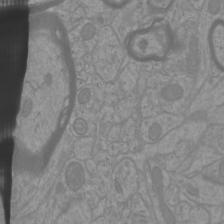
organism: Mouse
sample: Cortical neurons